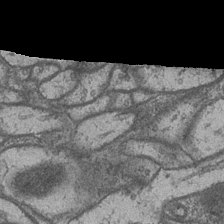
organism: Drosophila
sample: Optic medulla